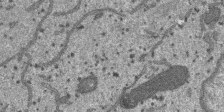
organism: Human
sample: Lung epithelial cells infected with SARS-CoV-2